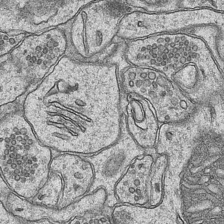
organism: Mouse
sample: CA1 Hippocampus